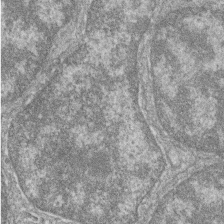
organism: Zebrafish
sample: Cilia; retinal pigment epithelium